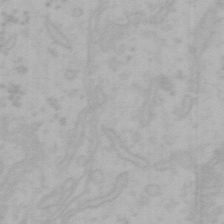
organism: Mouse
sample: Choroid plexus